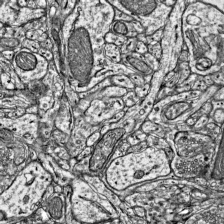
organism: Mouse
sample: Visual Cortex